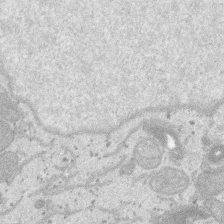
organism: Human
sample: Lung epithelial cells infected with SARS-CoV-2